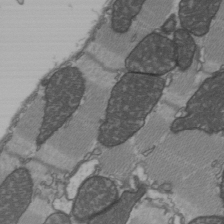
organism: C57BL Mouse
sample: Heart